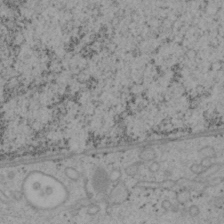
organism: Human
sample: HeLa cells